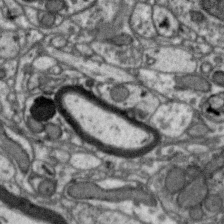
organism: Zebra finch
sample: Brain